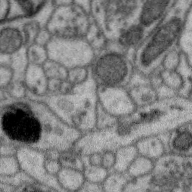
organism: Zebra finch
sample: Brain